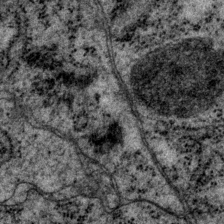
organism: P. pacificus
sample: Pharynx